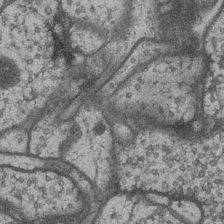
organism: Drosophila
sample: Optic medulla